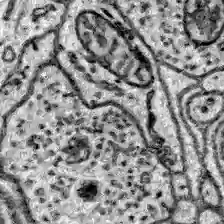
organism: Zebrafish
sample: Brain